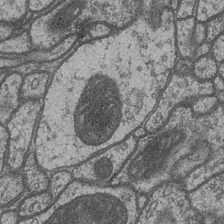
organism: Drosophila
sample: Optic medulla